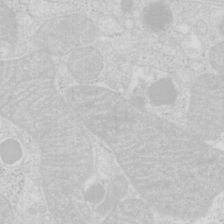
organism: Mouse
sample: Pancreas